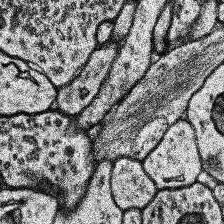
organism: Human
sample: Temporal Lobe